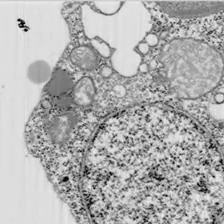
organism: Chlamydomonas reinhardtii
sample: Whole Cell